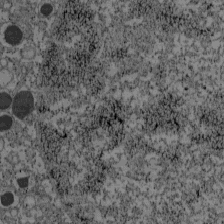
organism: C57BL Mouse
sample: Pancreatic islet